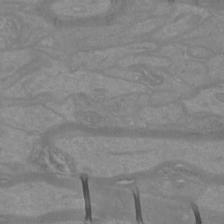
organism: Mouse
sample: Cortical neurons